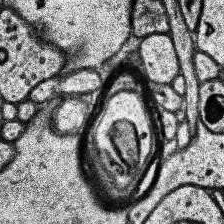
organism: Human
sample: Temporal Lobe